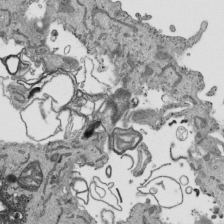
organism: Human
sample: Mitochondria in HCT116 cells